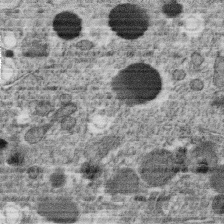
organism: C. elegans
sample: C. elegans oocyte; sperm cells